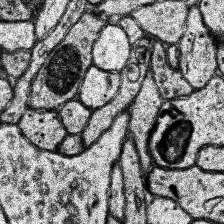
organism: Human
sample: Temporal Lobe